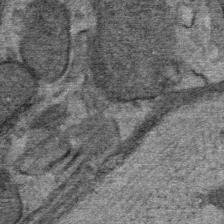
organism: Mouse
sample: Mouse Salivary gland